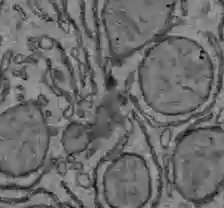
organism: C57BL Mouse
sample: Liver